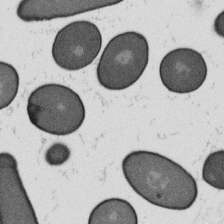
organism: B. subtilis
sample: Bacterial spore